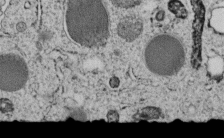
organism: C. elegans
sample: C. elegans embryo early stage